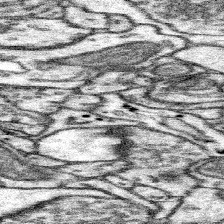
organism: Mouse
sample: Somatosensory cortex neuropil